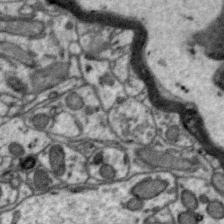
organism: Zebra finch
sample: Brain